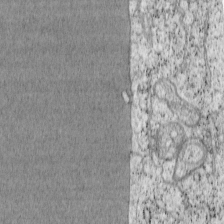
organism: African green monkey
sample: COS-7 cells